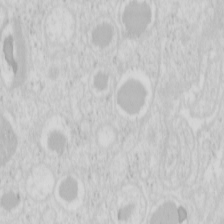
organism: Mouse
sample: Pancreas